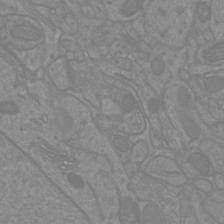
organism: Mouse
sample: Cortical neurons